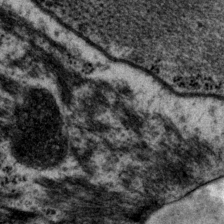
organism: P. pacificus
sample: Pharynx